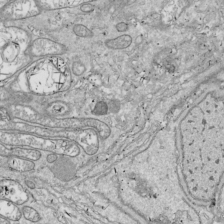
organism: Drosophila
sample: Cell division; meiosis; drosophila spermatocytes